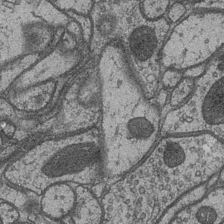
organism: Drosophila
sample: Optic medulla